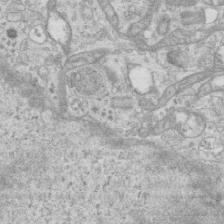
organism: Mouse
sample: Centriole in ependymal cells